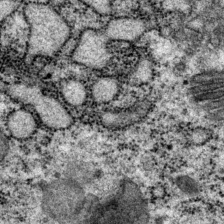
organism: P. pacificus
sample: Pharynx